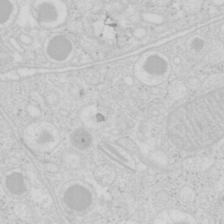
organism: Mouse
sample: Pancreas